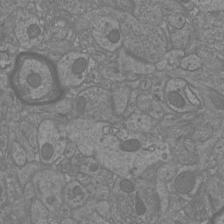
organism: Mouse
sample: Cortical neurons